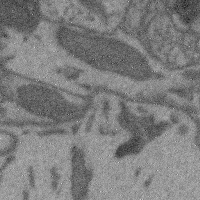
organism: Mouse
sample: Cerebral cortex